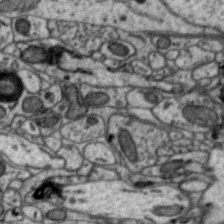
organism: Zebra finch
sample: Brain